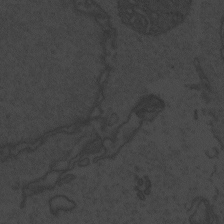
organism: Zebrafish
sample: Macrophage infected with Toxoplasma gondii